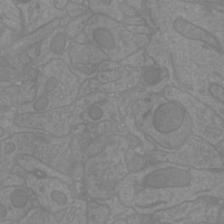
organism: Mouse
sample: Cortical neurons